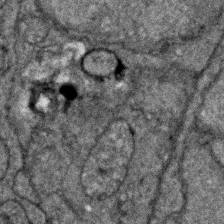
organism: Zebrafish